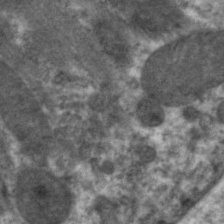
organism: C. elegans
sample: Pharynx